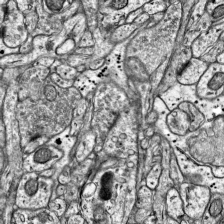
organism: Mouse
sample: Visual Cortex